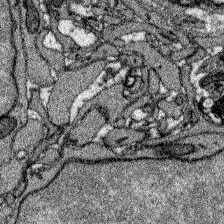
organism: Zebrafish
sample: Larval olfactory bulb